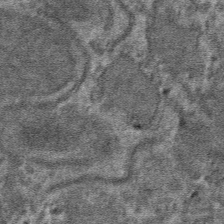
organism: Mouse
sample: Mouse hepatocytes